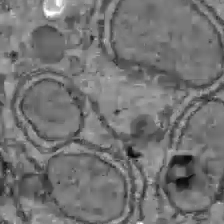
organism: C57BL Mouse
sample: Liver